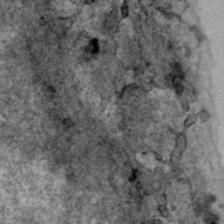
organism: Human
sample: Mitochondria in HCT116 cells